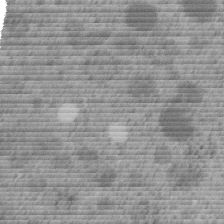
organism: C. elegans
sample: C. elegans embryo early stage